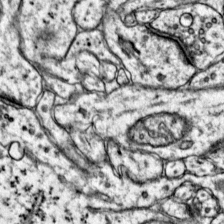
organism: Mouse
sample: Primary visual cortex